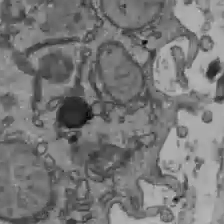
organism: C57BL Mouse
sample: Liver